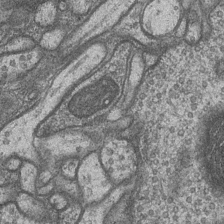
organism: Drosophila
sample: Optic medulla